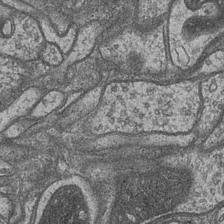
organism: Drosophila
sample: Optic medulla